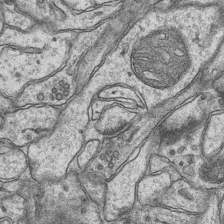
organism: Mouse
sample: CA1 Hippocampus